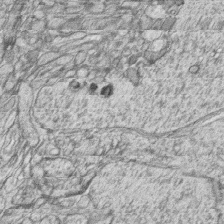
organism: Zebrafish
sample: synaptic ribbons in rod cells and cone cells